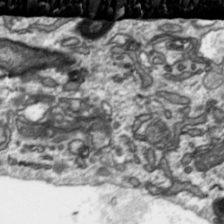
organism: Toxoplasma gondii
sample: Parasites in a vacuole inside a host cell